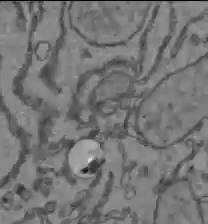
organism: C57BL Mouse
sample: Liver